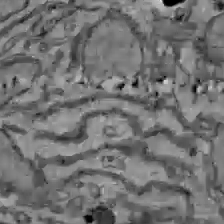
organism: C57BL Mouse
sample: Liver